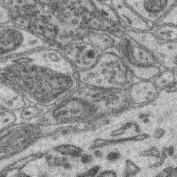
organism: Mouse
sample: Retina